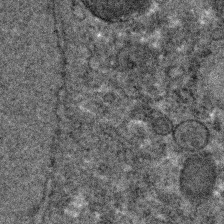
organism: C. elegans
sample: C. elegans embryo